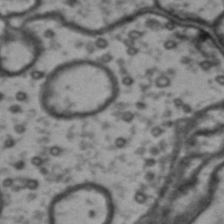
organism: Drosophila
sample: Brain